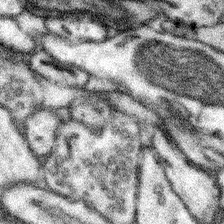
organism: Mouse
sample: Somatosensory cortex neuropil